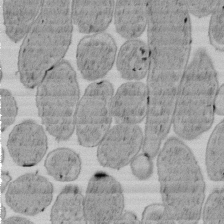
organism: E. coli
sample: Bacterial nucleoid